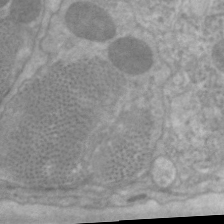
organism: C. elegans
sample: Pharynx